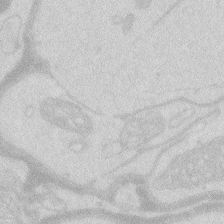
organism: Zebrafish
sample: Macrophage